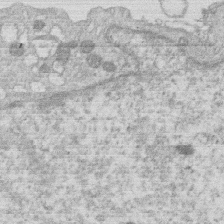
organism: Human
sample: Macrophage cells